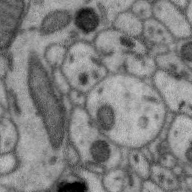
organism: Zebra finch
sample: Brain